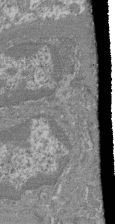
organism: Mouse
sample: Glomerulus